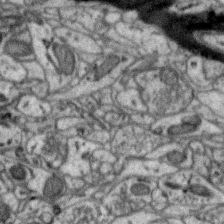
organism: Zebra finch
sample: Brain